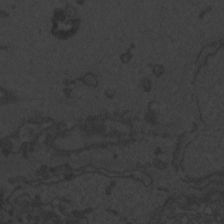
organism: Zebrafish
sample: Macrophage infected with Toxoplasma gondii